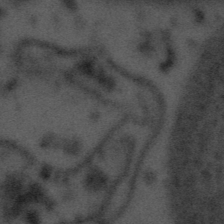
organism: Tuwongella immobilis